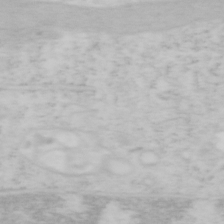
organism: Mouse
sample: OT-I killer T cells with ID8 ovarian cancer cells